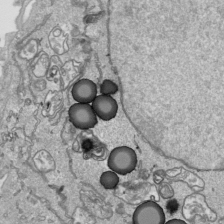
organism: Human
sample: Mitochondria in HCT116 cells